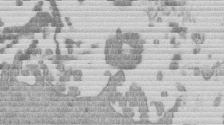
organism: Mouse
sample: Dividing mouse embryo 1 cell stage